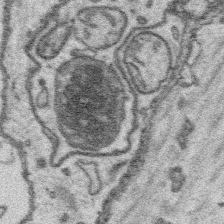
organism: Platynereis dumerilii